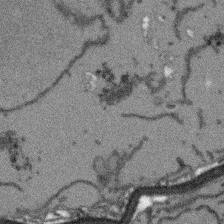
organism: Arabidopsis thaliana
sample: Root tip